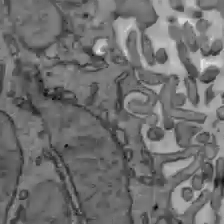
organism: C57BL Mouse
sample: Liver